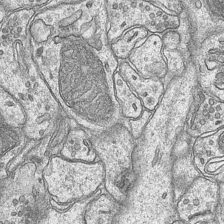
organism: Mouse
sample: CA1 Hippocampus